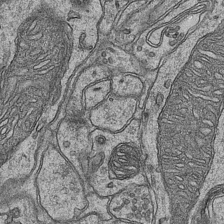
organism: Mouse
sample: CA1 Hippocampus